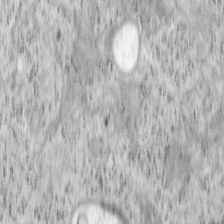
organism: Human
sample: HeLa cells